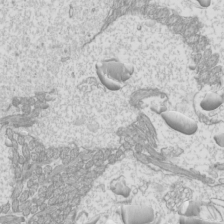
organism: Mouse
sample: Cilia; mouse epididymis